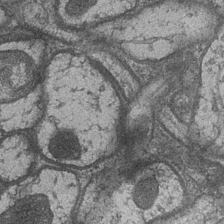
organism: Drosophila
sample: Optic medulla